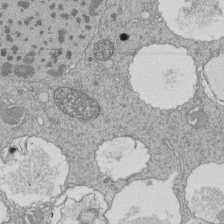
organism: Tetrahymena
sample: Cilia in tetrahymena